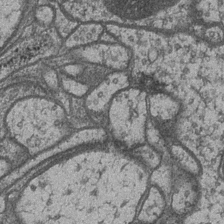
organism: Drosophila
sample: Optic medulla